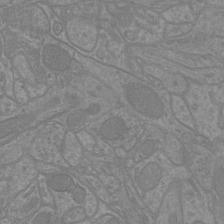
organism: Mouse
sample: Cortical neurons